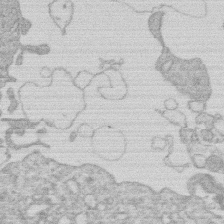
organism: Human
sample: Macrophage cells